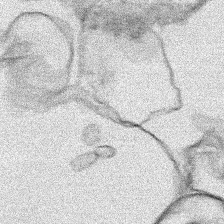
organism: Human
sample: Mitochondria in HCT116 cells